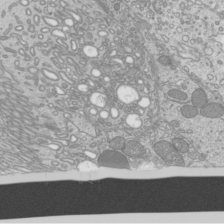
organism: Mouse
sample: Cilia; mouse epididymis